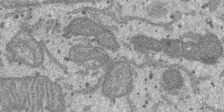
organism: Human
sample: Lung epithelial cells infected with SARS-CoV-2